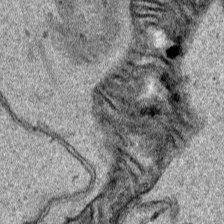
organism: Human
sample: Mitochondria in HCT116 cells